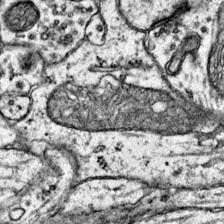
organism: Mouse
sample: Primary visual cortex